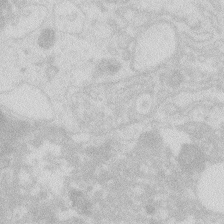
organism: Zebrafish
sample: Macrophage